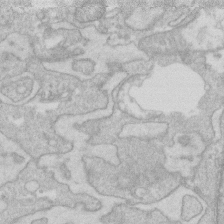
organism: Human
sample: Fibroblast cells